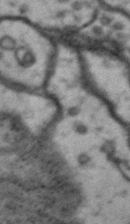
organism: Drosophila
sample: Brain